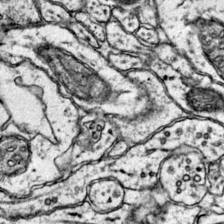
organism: Mouse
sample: Primary visual cortex